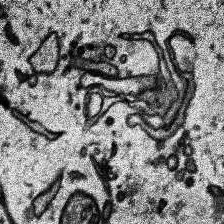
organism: Human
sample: Temporal Lobe